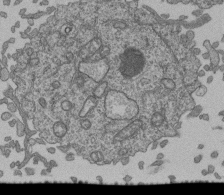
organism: Human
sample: Retinal organoid Rod and Cone cells